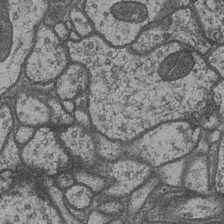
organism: Drosophila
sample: Optic medulla